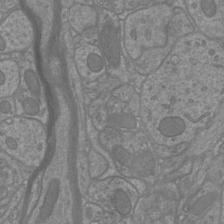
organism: Mouse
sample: Cortical neurons